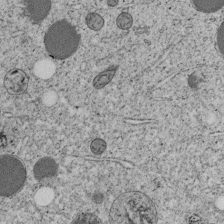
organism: C. elegans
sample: C. elegans embryo early stage